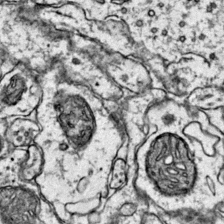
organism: Mouse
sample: Primary visual cortex